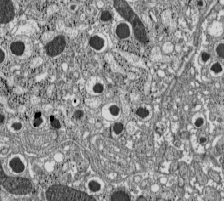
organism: C57BL Mouse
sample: Pancreatic islet